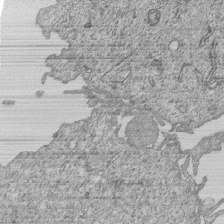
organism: Human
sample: MDA-MB-231 cells